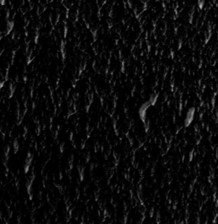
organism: Toxoplasma gondii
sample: Parasites in a vacuole inside a host cell